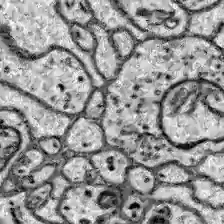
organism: Zebrafish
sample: Brain